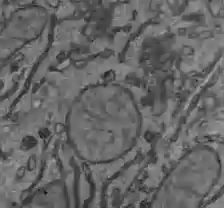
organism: C57BL Mouse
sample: Liver